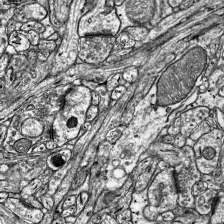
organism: Mouse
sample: Visual Cortex